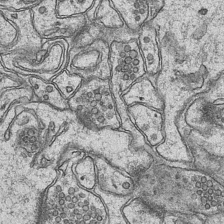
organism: Mouse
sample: CA1 Hippocampus